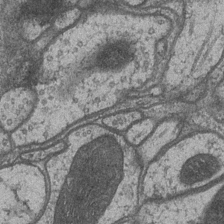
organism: Drosophila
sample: Optic medulla